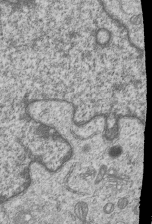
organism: Human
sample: MDA-MB-231 cells